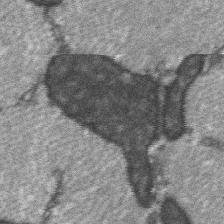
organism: C57BL Mouse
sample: Soleus